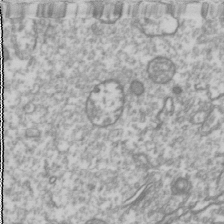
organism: Drosophila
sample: Cell division; meiosis; drosophila spermatocytes